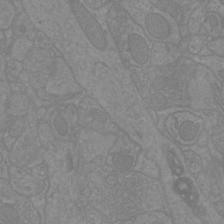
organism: Mouse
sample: Cortical neurons